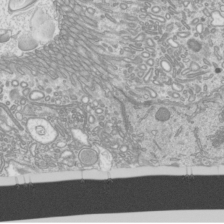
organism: Mouse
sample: Cilia; mouse epididymis